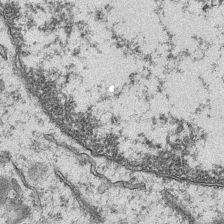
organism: Mouse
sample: CA1 Hippocampus